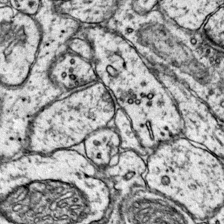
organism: Mouse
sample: Primary visual cortex